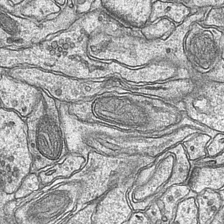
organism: Mouse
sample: CA1 Hippocampus